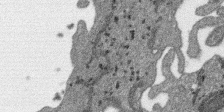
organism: Human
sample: Lung epithelial cells infected with SARS-CoV-2